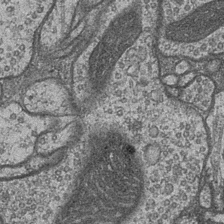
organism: Drosophila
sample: Optic medulla